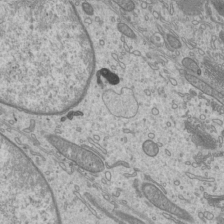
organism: Mouse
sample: Cilia; mouse epididymis